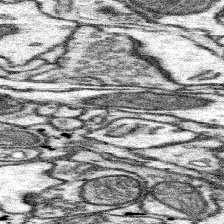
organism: Mouse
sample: Somatosensory cortex neuropil